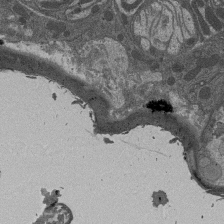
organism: Drosophila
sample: Antenna